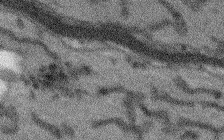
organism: Arabidopsis thaliana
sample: Root tip